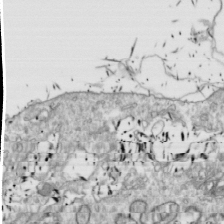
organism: Drosophila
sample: Cell division; meiosis; drosophila spermatocytes